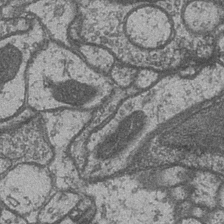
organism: Drosophila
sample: Optic medulla